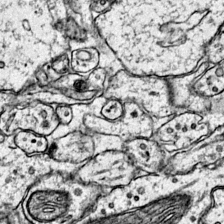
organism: Mouse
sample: Primary visual cortex